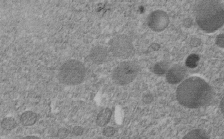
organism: C. elegans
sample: C. elegans embryo early stage